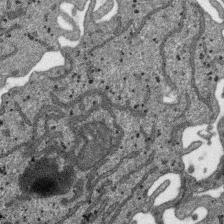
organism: Human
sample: Lung epithelial cells infected with SARS-CoV-2